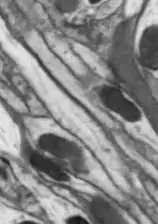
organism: Drosophila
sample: Optic lobe